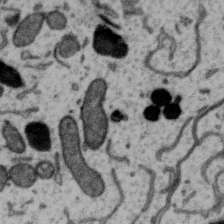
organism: Zebra finch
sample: Brain